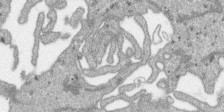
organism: Human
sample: Lung epithelial cells infected with SARS-CoV-2